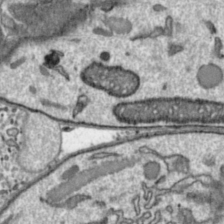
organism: Toxoplasma gondii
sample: Parasites in a vacuole inside a host cell